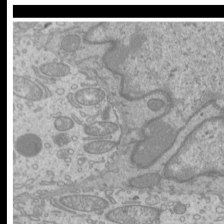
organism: Mouse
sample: Cilia; mouse epididymis